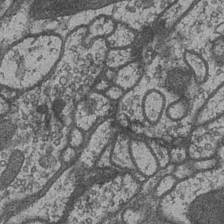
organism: Drosophila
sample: Optic medulla